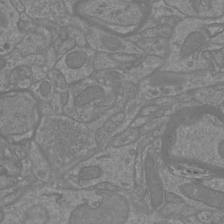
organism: Mouse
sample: Cortical neurons